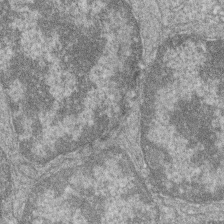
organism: Zebrafish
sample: Cilia; retinal pigment epithelium